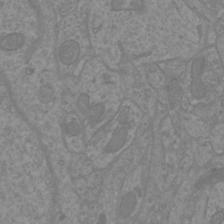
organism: Mouse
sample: Cortical neurons